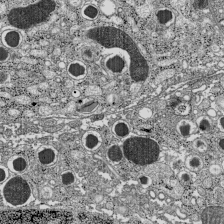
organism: C57BL Mouse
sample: Pancreatic islet